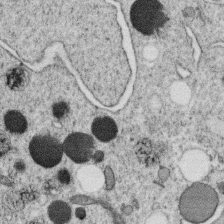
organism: C. elegans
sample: C. elegans oocyte; sperm cells